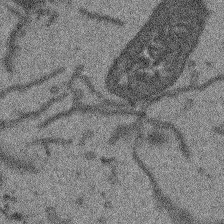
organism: Arabidopsis thaliana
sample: Root tip